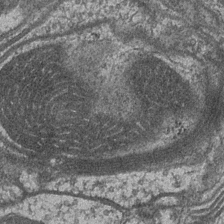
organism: Drosophila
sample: Optic medulla